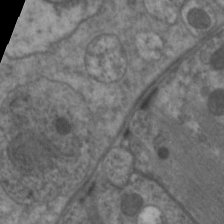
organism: C. elegans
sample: Pharynx